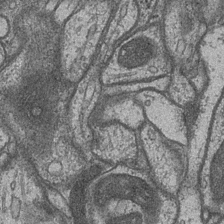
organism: Drosophila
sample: Optic medulla